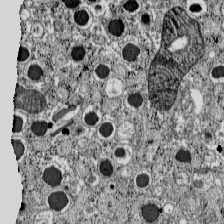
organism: C57BL Mouse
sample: Pancreatic islet